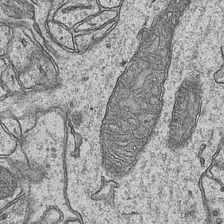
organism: Mouse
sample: CA1 Hippocampus